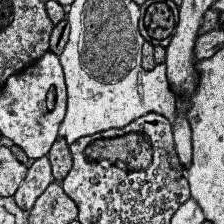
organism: Human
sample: Temporal Lobe